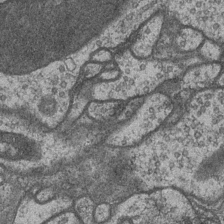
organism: Drosophila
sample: Optic medulla